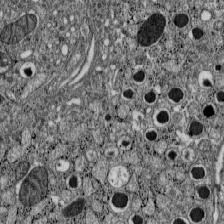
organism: C57BL Mouse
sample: Pancreatic islet